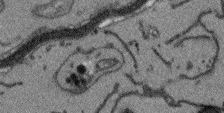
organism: Arabidopsis thaliana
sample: Root tip